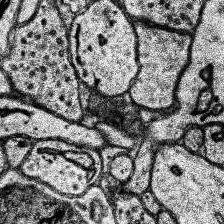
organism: Human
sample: Temporal Lobe